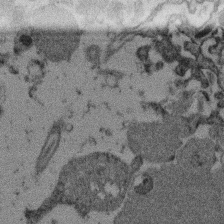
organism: Mouse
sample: Dividing mouse embryo 1 cell stage